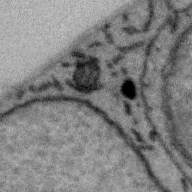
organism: Zebra finch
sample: Brain